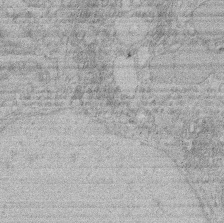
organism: Rat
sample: Salivary granule